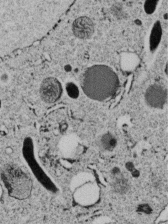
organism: C. elegans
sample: C. elegans embryo early stage